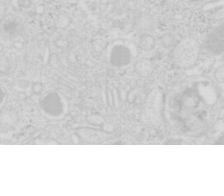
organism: Mouse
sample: Pancreas